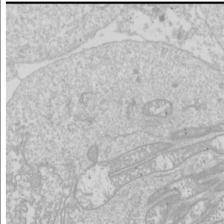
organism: Drosophila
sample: Cell division; meiosis; drosophila spermatocytes